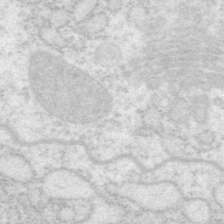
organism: P. pacificus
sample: Pharynx